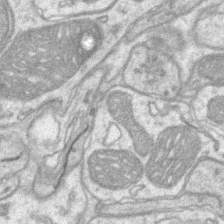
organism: Mouse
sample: CA1 Hippocampus